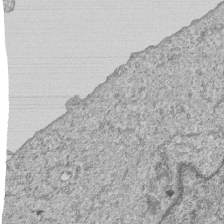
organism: Human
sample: MDA-MB-231 cells